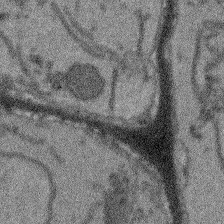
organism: Arabidopsis thaliana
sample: Root tip